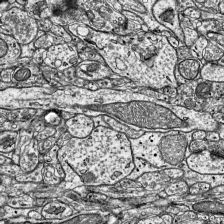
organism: Mouse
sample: Visual Cortex